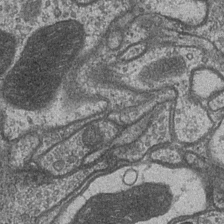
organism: Drosophila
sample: Optic medulla